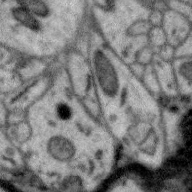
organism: Zebra finch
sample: Brain